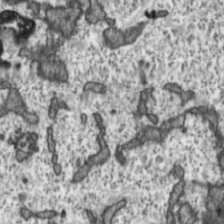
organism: Toxoplasma gondii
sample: Parasites in a vacuole inside a host cell